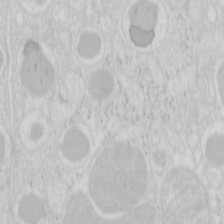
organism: Mouse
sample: Pancreas